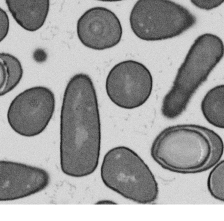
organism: B. subtilis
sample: Bacterial spore